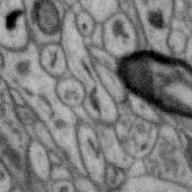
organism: Zebra finch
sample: Brain